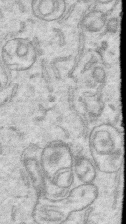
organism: Human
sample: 1205lu cells